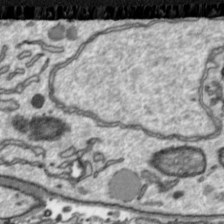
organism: Toxoplasma gondii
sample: Parasites in a vacuole inside a host cell